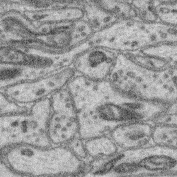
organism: Mouse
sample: Retina